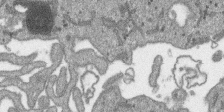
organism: Human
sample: Lung epithelial cells infected with SARS-CoV-2